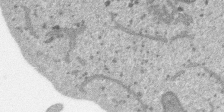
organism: Human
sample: Lung epithelial cells infected with SARS-CoV-2